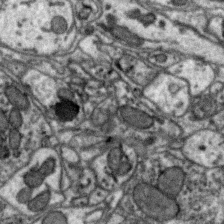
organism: Zebra finch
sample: Brain